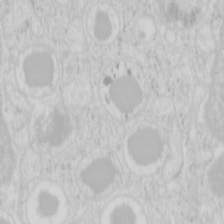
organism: Mouse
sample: Pancreas